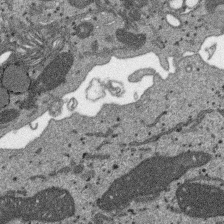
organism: Human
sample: Lung epithelial cells infected with SARS-CoV-2